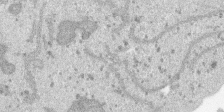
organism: Human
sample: Lung epithelial cells infected with SARS-CoV-2